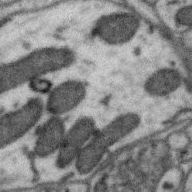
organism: Zebra finch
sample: Brain